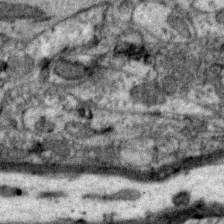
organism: Zebra finch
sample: Brain